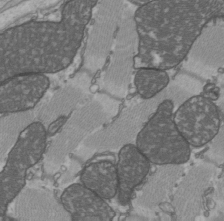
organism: C57BL Mouse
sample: Heart